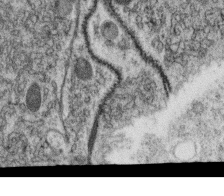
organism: C. elegans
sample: C. elegans oocyte; sperm cells